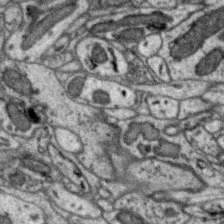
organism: Zebra finch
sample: Brain